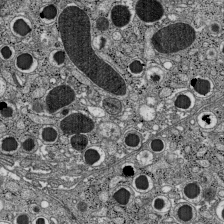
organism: C57BL Mouse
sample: Pancreatic islet